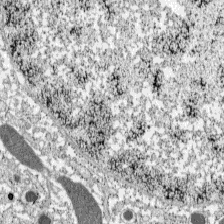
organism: C57BL Mouse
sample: Pancreatic islet